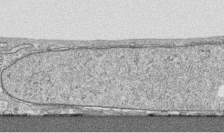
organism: Human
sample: CRL-1474